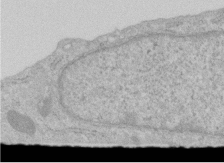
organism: Human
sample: Centriole in RPE cells